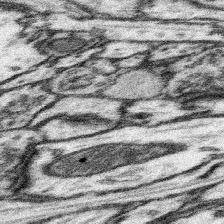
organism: Mouse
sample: Somatosensory cortex neuropil